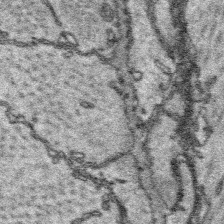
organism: Platynereis dumerilii